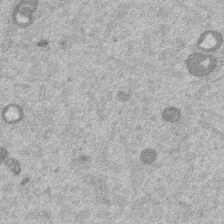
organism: Mouse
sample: Dividing mouse embryo 1 cell stage